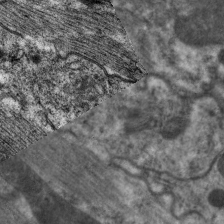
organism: C. elegans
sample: Pharynx